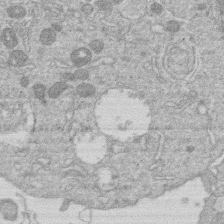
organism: Human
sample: Macrophage cells